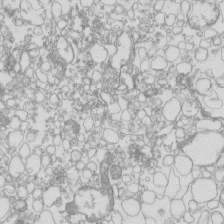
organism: Mouse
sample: Macrophages